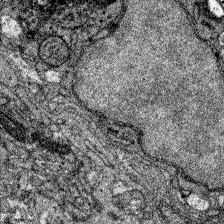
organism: Zebrafish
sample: Larval olfactory bulb